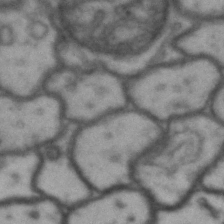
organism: Drosophila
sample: Brain